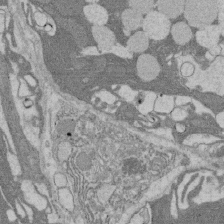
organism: Rat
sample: Salivary granule